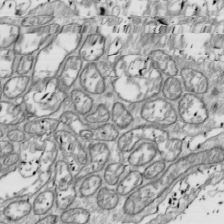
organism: Drosophila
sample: Cell division; meiosis; drosophila spermatocytes